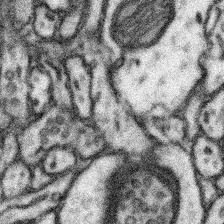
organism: Mouse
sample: Somatosensory cortex neuropil